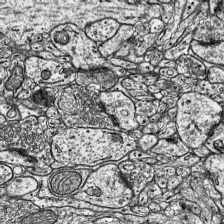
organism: Mouse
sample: Visual Cortex